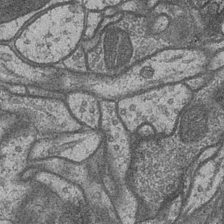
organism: Drosophila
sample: Optic medulla